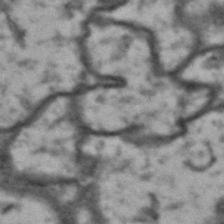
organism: Drosophila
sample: Brain